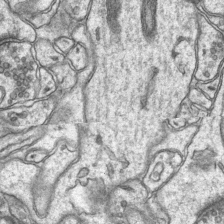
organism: Mouse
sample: CA1 Hippocampus